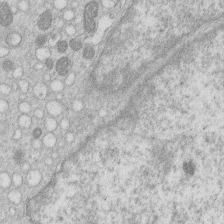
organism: Human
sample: Macrophage cells